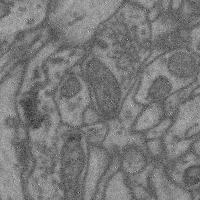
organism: Mouse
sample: Cerebral cortex